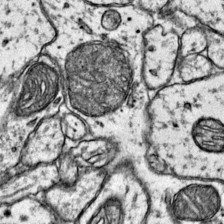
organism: Mouse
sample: Primary visual cortex